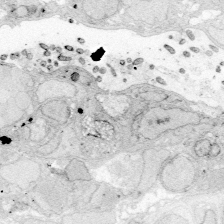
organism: Zebrafish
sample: Whole-Brain